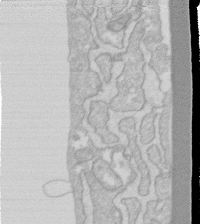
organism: Human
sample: Fibroblast cells